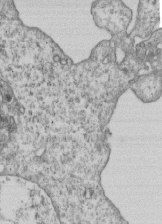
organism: Human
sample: MDA-MB-231 cells